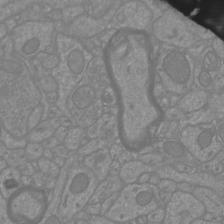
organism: Mouse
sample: Cortical neurons